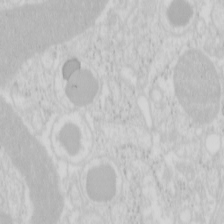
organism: Mouse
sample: Pancreas